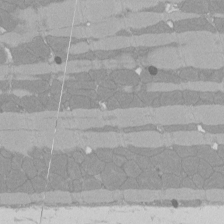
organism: Rat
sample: Left ventricle